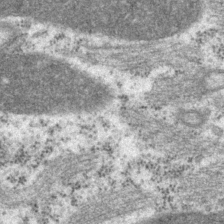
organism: P. pacificus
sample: Pharynx